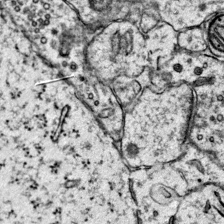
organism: Mouse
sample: Primary visual cortex